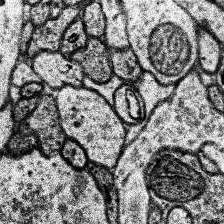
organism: Human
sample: Temporal Lobe